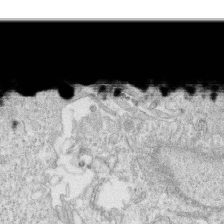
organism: Human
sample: HeLa cell HIV synapse